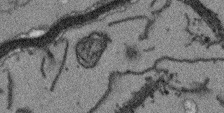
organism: Arabidopsis thaliana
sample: Root tip